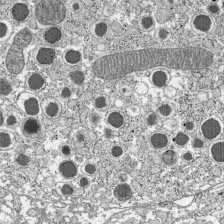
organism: C57BL Mouse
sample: Pancreatic islet